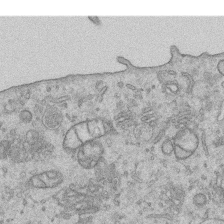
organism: Human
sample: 1205lu cells